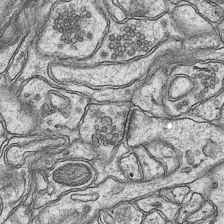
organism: Mouse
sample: CA1 Hippocampus